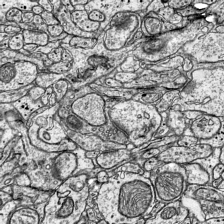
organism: Mouse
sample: Visual Cortex